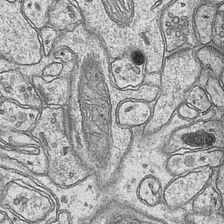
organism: Mouse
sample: CA1 Hippocampus